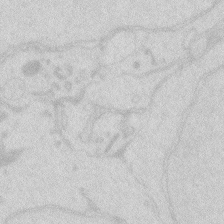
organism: Zebrafish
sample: Macrophage